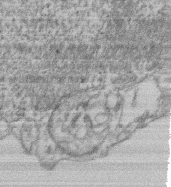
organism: Mouse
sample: T cell stromal cell synapse